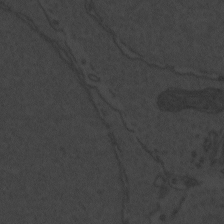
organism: Zebrafish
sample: Macrophage infected with Toxoplasma gondii